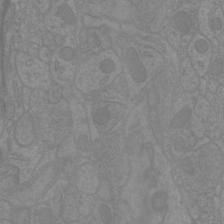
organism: Mouse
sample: Cortical neurons